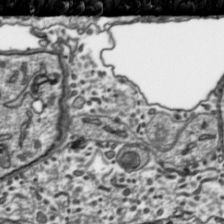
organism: Toxoplasma gondii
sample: Parasites in a vacuole inside a host cell